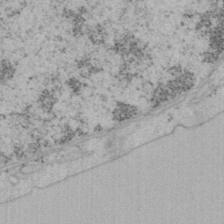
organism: Human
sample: HeLa cells